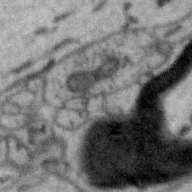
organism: Zebra finch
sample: Brain